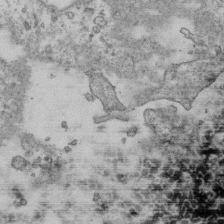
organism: Human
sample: Activated Jurkat CD4+ T cells